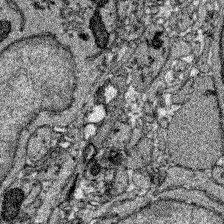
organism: Zebrafish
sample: Larval olfactory bulb